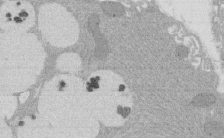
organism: Rat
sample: Salivary granule